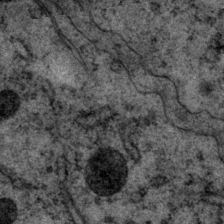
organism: P. pacificus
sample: Pharynx